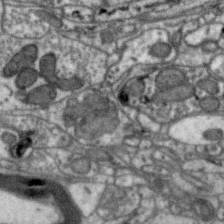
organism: Zebra finch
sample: Brain